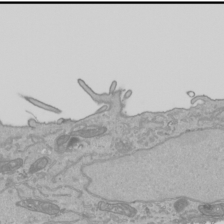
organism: Human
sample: Mitochondria in HCT116 cells